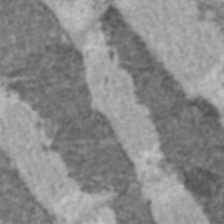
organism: C57BL Mouse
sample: Heart